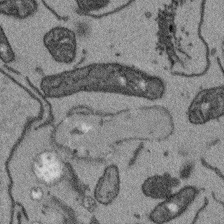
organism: Arabidopsis thaliana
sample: Root tip